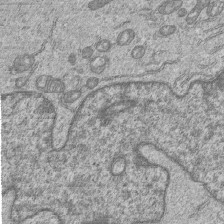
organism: Human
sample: MDA-MB-231 cells